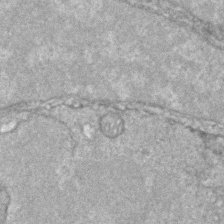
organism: Zebrafish